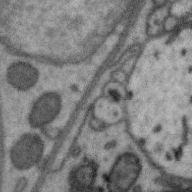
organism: Zebra finch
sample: Brain